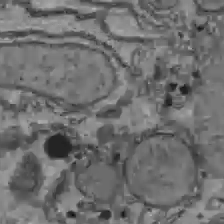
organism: C57BL Mouse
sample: Liver